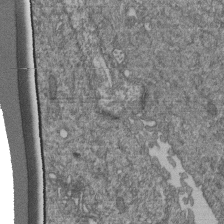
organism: Human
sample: Retinal organoid Rod and Cone cells